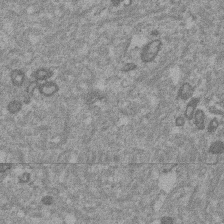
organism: Mouse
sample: Dividing mouse embryo 1 cell stage